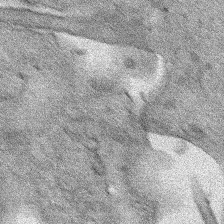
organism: Human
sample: Mitochondria in HCT116 cells